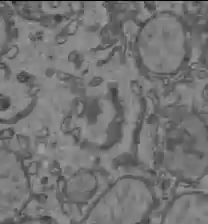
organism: C57BL Mouse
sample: Liver